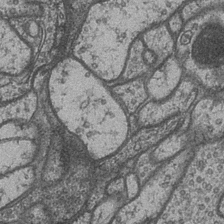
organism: Drosophila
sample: Optic medulla